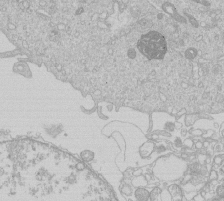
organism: Human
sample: Macrophage cells